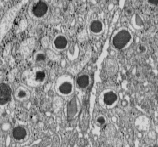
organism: C57BL Mouse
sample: Pancreatic islet